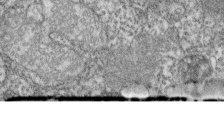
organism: Zebrafish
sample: Cilia; retinal pigment epithelium